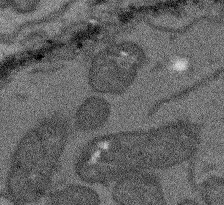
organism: Arabidopsis thaliana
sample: Root tip